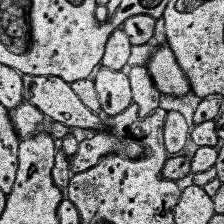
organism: Human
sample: Temporal Lobe